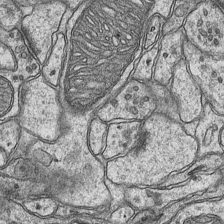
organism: Mouse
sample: CA1 Hippocampus